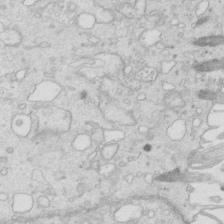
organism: Mouse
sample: Multiciliated cells